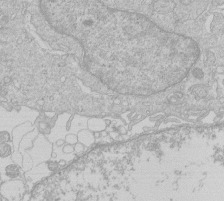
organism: Human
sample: Macrophage cells